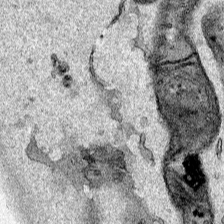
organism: Human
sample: Mitochondria in HCT116 cells